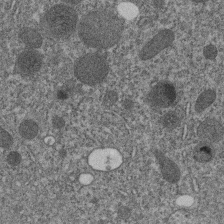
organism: C. elegans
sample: C. elegans embryo early stage